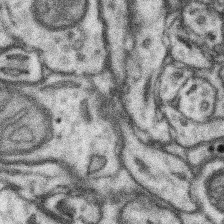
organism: Mouse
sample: Somatosensory cortex neuropil